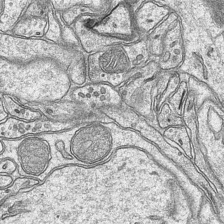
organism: Mouse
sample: CA1 Hippocampus